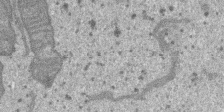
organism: Human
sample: Lung epithelial cells infected with SARS-CoV-2